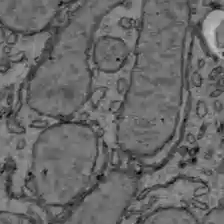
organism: C57BL Mouse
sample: Liver